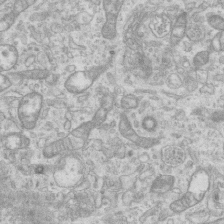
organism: Mouse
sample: Centriole in ependymal cells